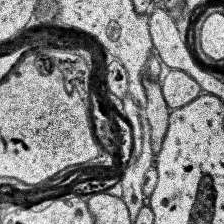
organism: Human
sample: Temporal Lobe